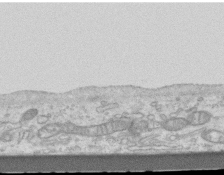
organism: Mouse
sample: Centriole in ependymal cells